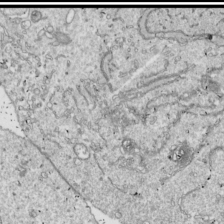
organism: Drosophila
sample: Cell division; meiosis; drosophila spermatocytes